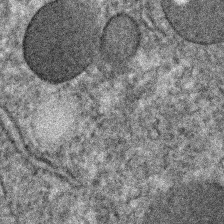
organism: C. elegans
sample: C. elegans embryo